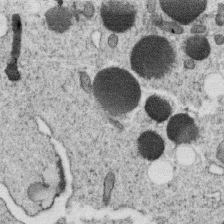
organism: C. elegans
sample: C. elegans oocyte; sperm cells